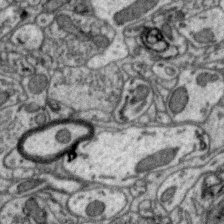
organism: Zebra finch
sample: Brain